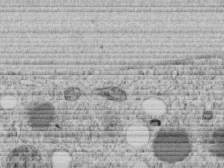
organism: C. elegans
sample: C. elegans embryo early stage